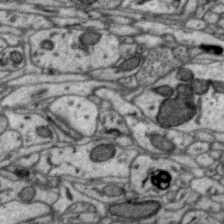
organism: Zebra finch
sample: Brain